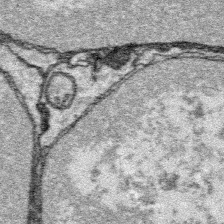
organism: Platynereis dumerilii